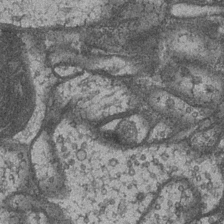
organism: Drosophila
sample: Optic medulla